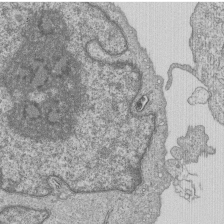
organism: Human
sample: MDA-MB-231 cells